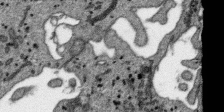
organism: Human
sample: Lung epithelial cells, uninfected (mock) control